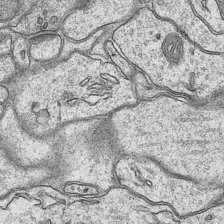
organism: Mouse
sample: CA1 Hippocampus